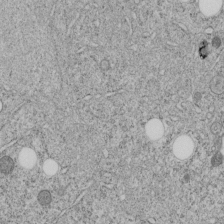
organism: C. elegans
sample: C. elegans embryo early stage